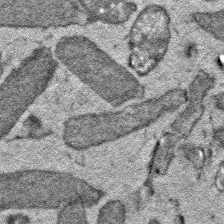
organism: E. coli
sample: E. Coli Bacteria